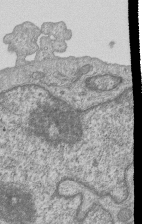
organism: Human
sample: MDA-MB-231 cells